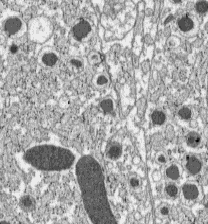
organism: C57BL Mouse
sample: Pancreatic islet